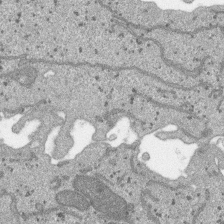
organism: Human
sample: Lung epithelial cells infected with SARS-CoV-2